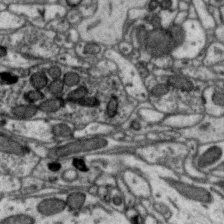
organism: Zebra finch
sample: Brain